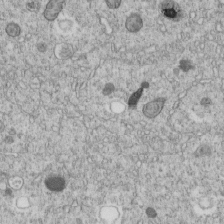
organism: C. elegans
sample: C. elegans embryo early stage